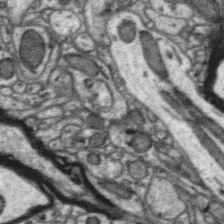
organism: Zebra finch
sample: Brain